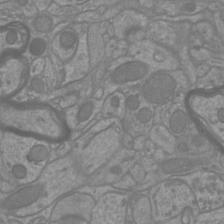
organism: Mouse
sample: Cortical neurons